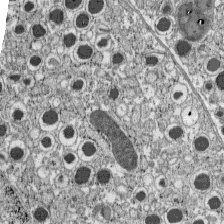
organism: C57BL Mouse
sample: Pancreatic islet